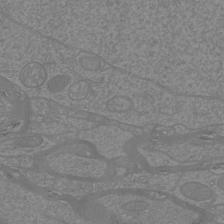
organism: Mouse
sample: Cortical neurons